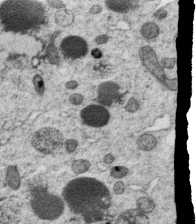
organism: C. elegans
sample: C. elegans oocyte; sperm cells